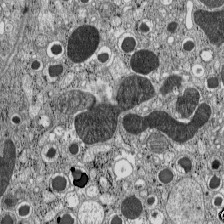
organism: C57BL Mouse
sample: Pancreatic islet